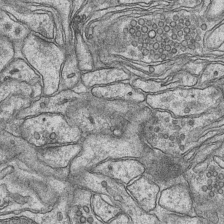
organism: Mouse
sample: CA1 Hippocampus